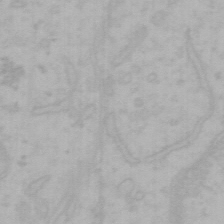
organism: Mouse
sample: Choroid plexus